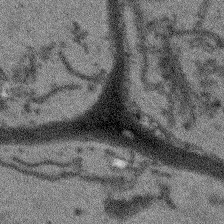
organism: Arabidopsis thaliana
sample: Root tip